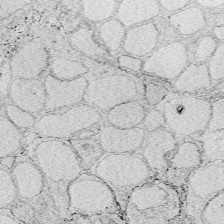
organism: Zebrafish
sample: Whole-Brain